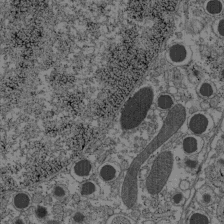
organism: C57BL Mouse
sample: Pancreatic islet